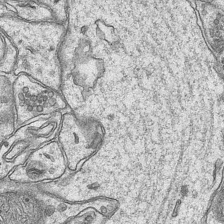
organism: Mouse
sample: CA1 Hippocampus